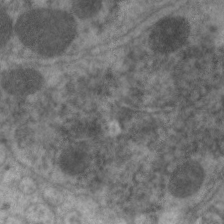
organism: C. elegans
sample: Pharynx